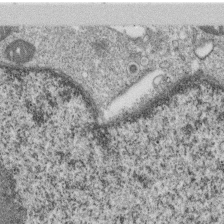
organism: African green monkey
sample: Vero E6 cells infected with SARS-CoV-2